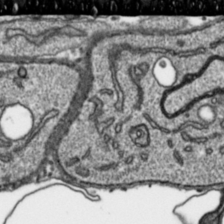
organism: Toxoplasma gondii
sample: Parasites in a vacuole inside a host cell